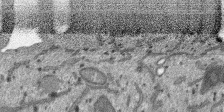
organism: Human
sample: Lung epithelial cells infected with SARS-CoV-2